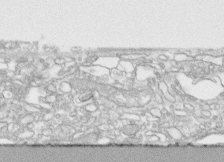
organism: Human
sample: CRL-1474